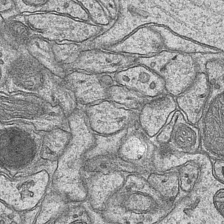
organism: Mouse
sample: CA1 Hippocampus